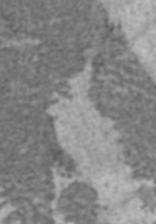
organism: C57BL Mouse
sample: Heart